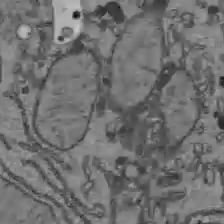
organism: C57BL Mouse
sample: Liver